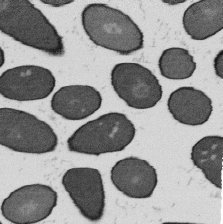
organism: B. subtilis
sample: Bacterial spore